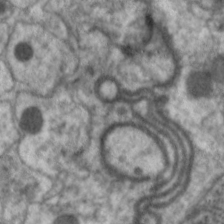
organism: C. elegans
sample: Pharynx